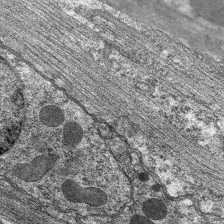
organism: C. elegans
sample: Pharynx